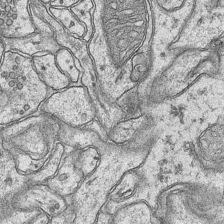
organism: Mouse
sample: CA1 Hippocampus